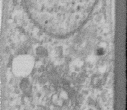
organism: Human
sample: Centriole in RPE cells